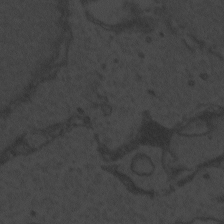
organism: Zebrafish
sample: Macrophage infected with Toxoplasma gondii